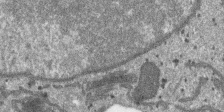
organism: Human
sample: Lung epithelial cells infected with SARS-CoV-2